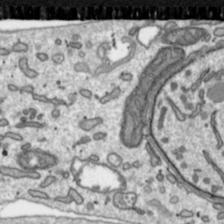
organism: Toxoplasma gondii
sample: Parasites in a vacuole inside a host cell